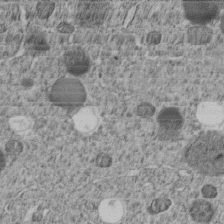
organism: C. elegans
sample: C. elegans embryo early stage